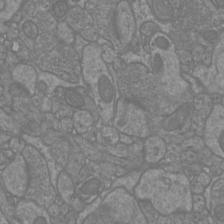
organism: Mouse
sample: Cortical neurons